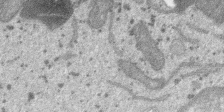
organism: Human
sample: Lung epithelial cells infected with SARS-CoV-2